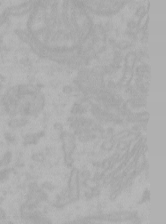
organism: Mouse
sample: Choroid plexus